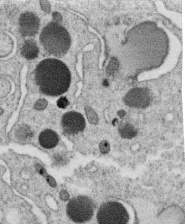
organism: C. elegans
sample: C. elegans oocyte; sperm cells